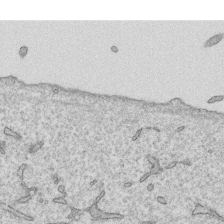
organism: Human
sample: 1205lu cells